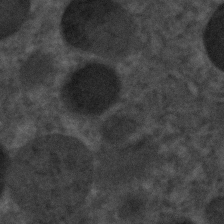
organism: C. elegans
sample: C. elegans embryo